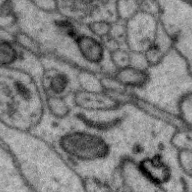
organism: Zebra finch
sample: Brain